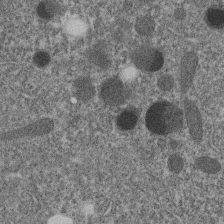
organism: C. elegans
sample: C. elegans embryo early stage